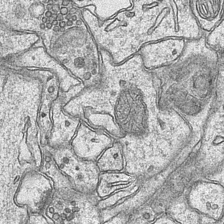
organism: Mouse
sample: CA1 Hippocampus